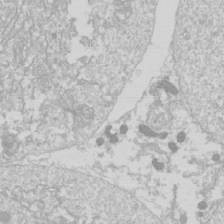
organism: Drosophila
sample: Cell division; meiosis; drosophila spermatocytes